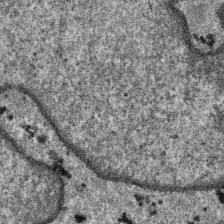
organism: Human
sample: Lung epithelial cells infected with SARS-CoV-2